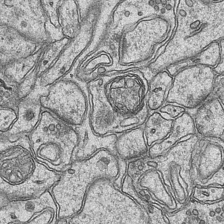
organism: Mouse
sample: CA1 Hippocampus